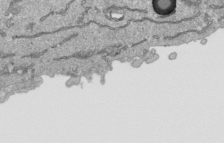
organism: Human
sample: Mitochondria in HCT116 cells